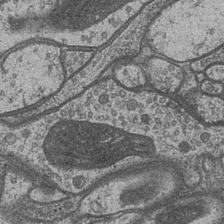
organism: Drosophila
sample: Optic medulla